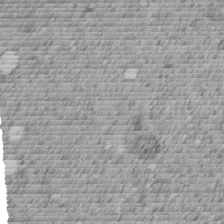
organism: C. elegans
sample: C. elegans embryo early stage